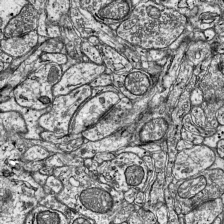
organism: Mouse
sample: Visual Cortex